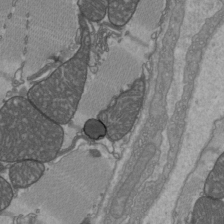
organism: C57BL Mouse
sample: Heart